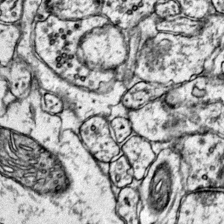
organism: Mouse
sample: Primary visual cortex